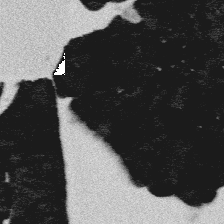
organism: Platynereis dumerilii